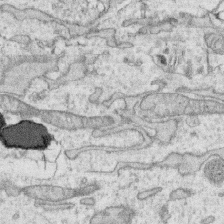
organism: Human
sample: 1205lu cells